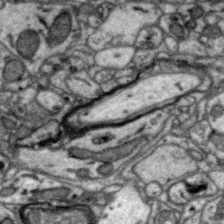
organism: Zebra finch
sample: Brain